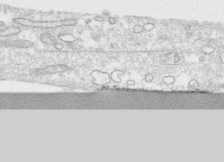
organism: Human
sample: CRL-1474